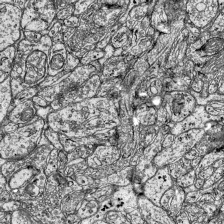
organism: Mouse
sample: Visual Cortex